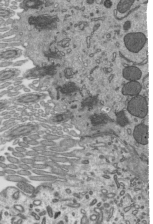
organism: Mouse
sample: Mouse epididymis efferent ductule cilia